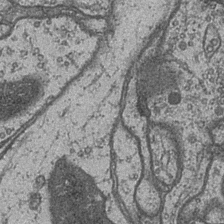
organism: Drosophila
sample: Optic medulla